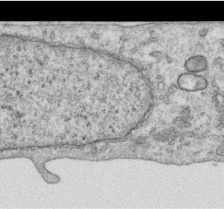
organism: Human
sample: Centriole in RPE cells